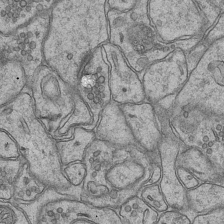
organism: Mouse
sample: CA1 Hippocampus